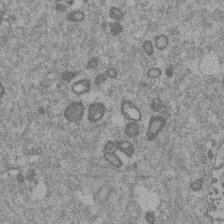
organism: Mouse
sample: Dividing mouse embryo 1 cell stage